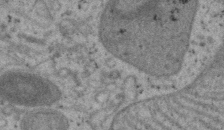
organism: Human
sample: HeLa cells